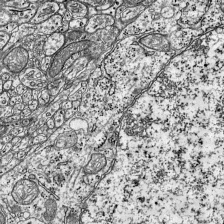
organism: Mouse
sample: Visual Cortex